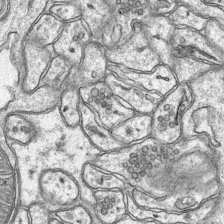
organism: Mouse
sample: CA1 Hippocampus